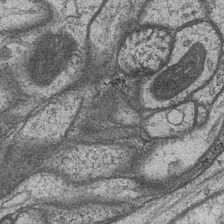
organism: Drosophila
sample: Optic medulla